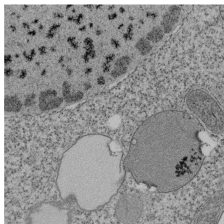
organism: Tetrahymena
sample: Cilia in tetrahymena